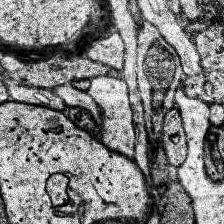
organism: Human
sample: Temporal Lobe